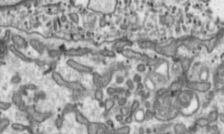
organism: Toxoplasma gondii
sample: Parasites in a vacuole inside a host cell